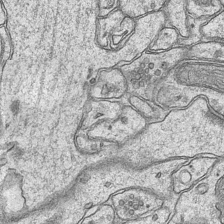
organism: Mouse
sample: CA1 Hippocampus